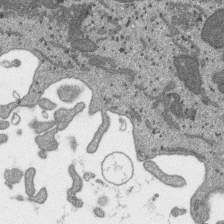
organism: Human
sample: Lung epithelial cells infected with SARS-CoV-2